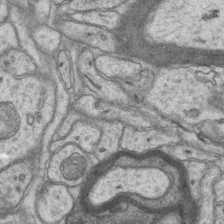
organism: Mouse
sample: CA1 Hippocampus